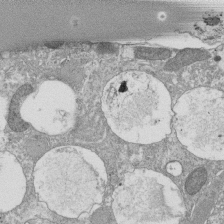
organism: Tetrahymena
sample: Cilia in tetrahymena